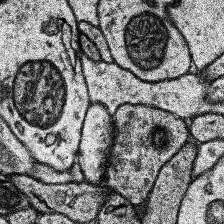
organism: Human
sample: Temporal Lobe